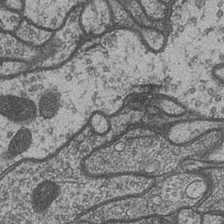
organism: Drosophila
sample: Optic medulla